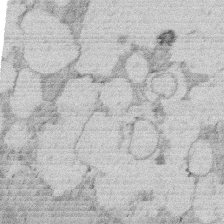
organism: Rat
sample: Salivary granule